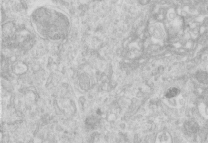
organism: Human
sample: Centriole in RPE cells